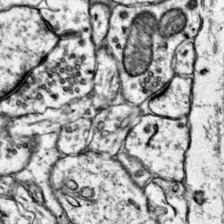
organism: Mouse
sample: Primary visual cortex